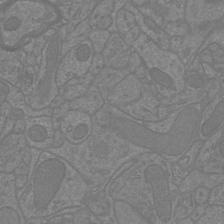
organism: Mouse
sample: Cortical neurons